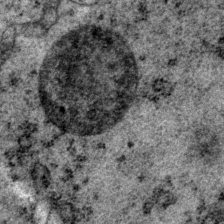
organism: P. pacificus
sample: Pharynx